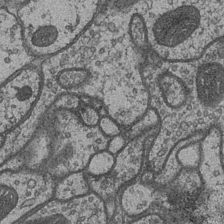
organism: Drosophila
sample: Optic medulla